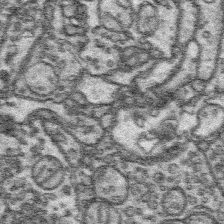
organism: Platynereis dumerilii